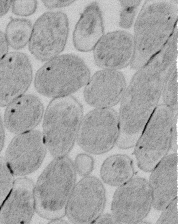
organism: E. coli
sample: Bacterial nucleoid